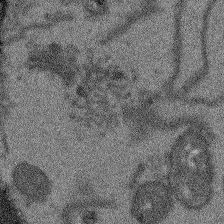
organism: Arabidopsis thaliana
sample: Root tip